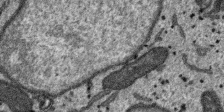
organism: Human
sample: Lung epithelial cells, uninfected (mock) control